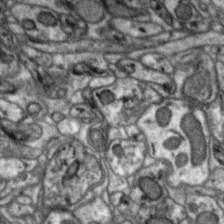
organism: Zebra finch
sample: Brain